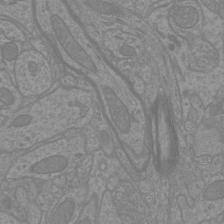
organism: Mouse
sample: Cortical neurons